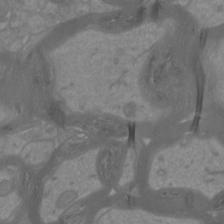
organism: Mouse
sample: Cortical neurons